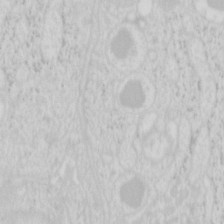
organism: Mouse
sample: Pancreas